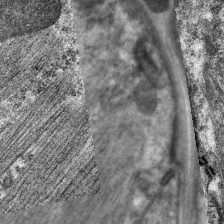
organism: C. elegans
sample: Pharynx